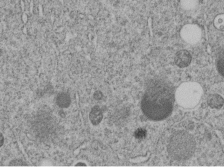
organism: C. elegans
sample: C. elegans embryo early stage